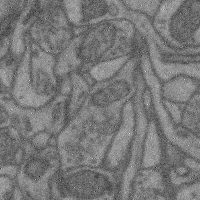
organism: Mouse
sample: Cerebral cortex